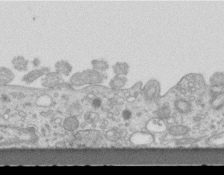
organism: Mouse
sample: Centriole in ependymal cells